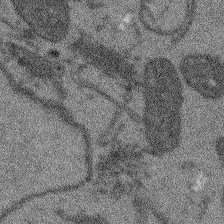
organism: Arabidopsis thaliana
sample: Root tip